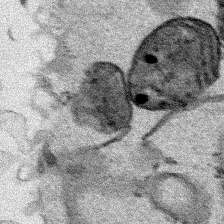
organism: Human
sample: Mitochondria in HCT116 cells